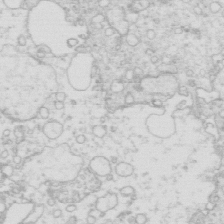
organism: Mouse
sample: Multiciliated cells